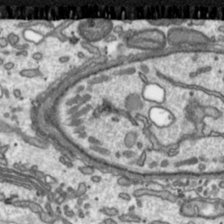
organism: Toxoplasma gondii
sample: Parasites in a vacuole inside a host cell